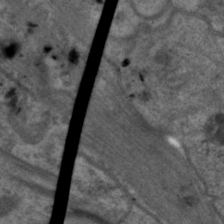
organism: C. elegans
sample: Pharynx